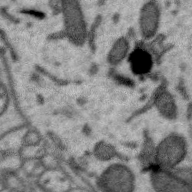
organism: Zebra finch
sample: Brain